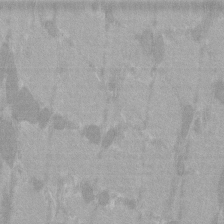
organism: C57BL Mouse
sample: Tibialis anterior muscle cell